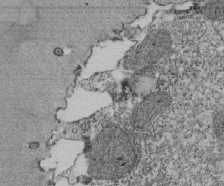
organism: Tetrahymena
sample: Cilia in tetrahymena